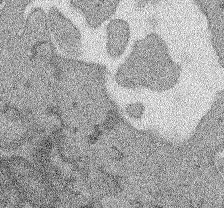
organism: Human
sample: HeLa cells